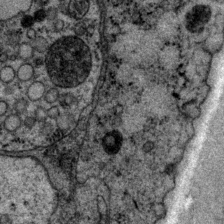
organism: P. pacificus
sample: Pharynx